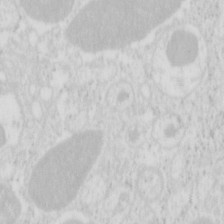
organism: Mouse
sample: Pancreas